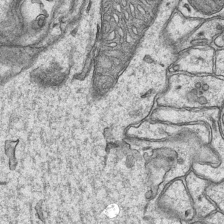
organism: Mouse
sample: CA1 Hippocampus